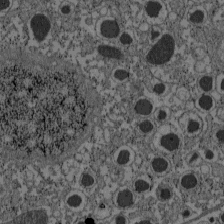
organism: C57BL Mouse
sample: Pancreatic islet